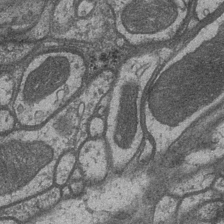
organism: Drosophila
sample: Optic medulla